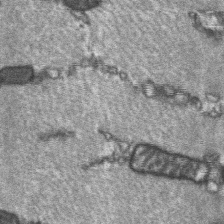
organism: C57BL Mouse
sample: Soleus